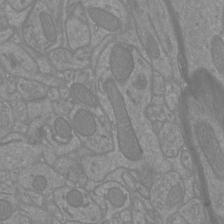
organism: Mouse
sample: Cortical neurons